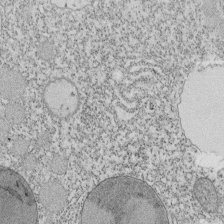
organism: Tetrahymena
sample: Cilia in tetrahymena